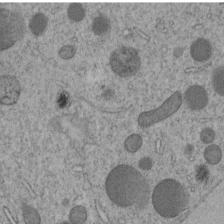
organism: C. elegans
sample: C. elegans embryo early stage